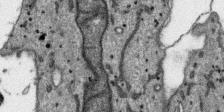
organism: Human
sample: Lung epithelial cells, uninfected (mock) control